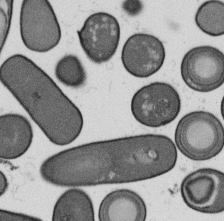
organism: B. subtilis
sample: Bacterial spore